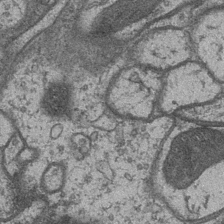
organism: Drosophila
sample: Optic medulla